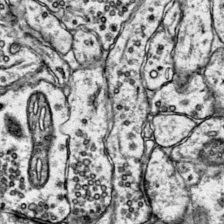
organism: Mouse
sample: Primary visual cortex